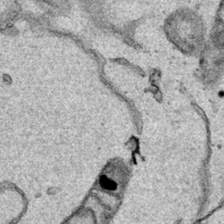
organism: Human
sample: Mitochondria in HCT116 cells